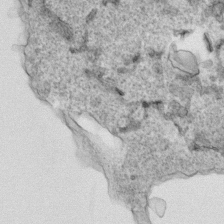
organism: Human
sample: Mitochondria in HCT116 cells